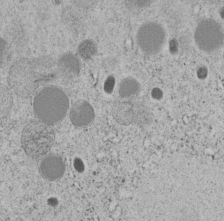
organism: C. elegans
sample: C. elegans embryo early stage